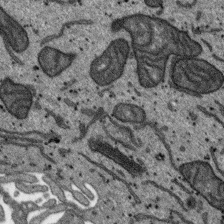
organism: Human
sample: Lung epithelial cells, uninfected (mock) control